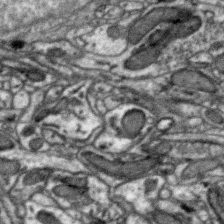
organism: Zebra finch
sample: Brain